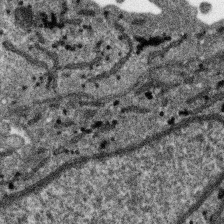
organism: Human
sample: Lung epithelial cells infected with SARS-CoV-2